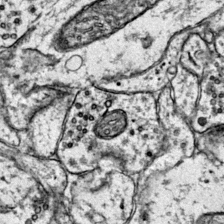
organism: Mouse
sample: Primary visual cortex